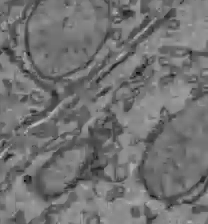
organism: C57BL Mouse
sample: Liver